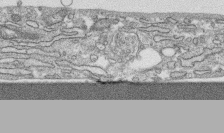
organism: Human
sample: CRL-1474